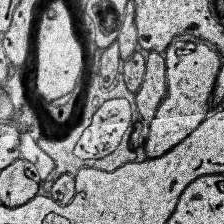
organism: Human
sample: Temporal Lobe